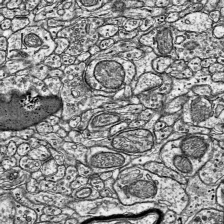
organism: Mouse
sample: Visual Cortex